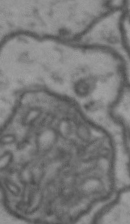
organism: Drosophila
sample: Brain